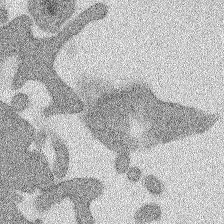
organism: Human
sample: HeLa cells